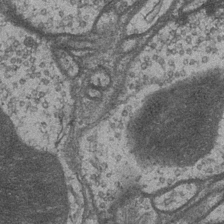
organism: Drosophila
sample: Optic medulla